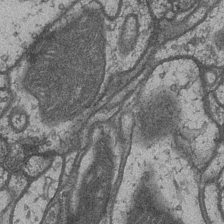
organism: Drosophila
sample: Optic medulla